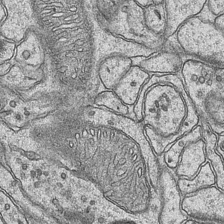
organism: Mouse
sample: CA1 Hippocampus